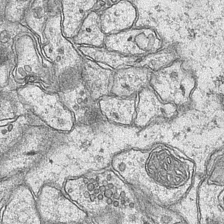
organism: Mouse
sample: CA1 Hippocampus